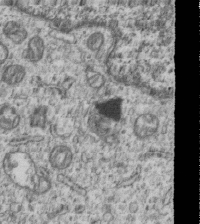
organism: Human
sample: MDA-MB-231 cells